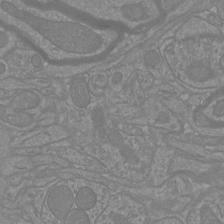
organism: Mouse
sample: Cortical neurons